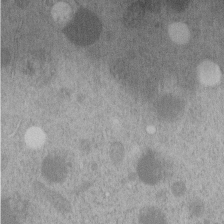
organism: C. elegans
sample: C. elegans embryo early stage